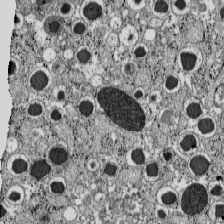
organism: C57BL Mouse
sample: Pancreatic islet